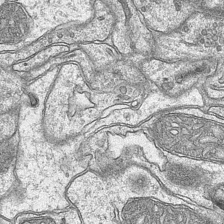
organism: Mouse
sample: CA1 Hippocampus